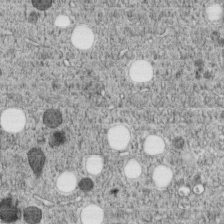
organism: C. elegans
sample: C. elegans embryo early stage